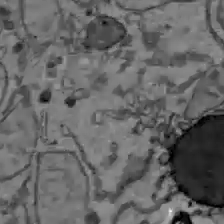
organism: C57BL Mouse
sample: Liver